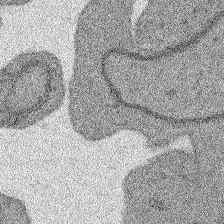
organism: Human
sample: HeLa cells